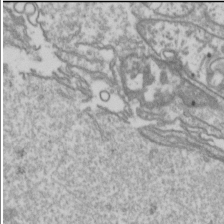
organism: Drosophila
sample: Cell division; meiosis; drosophila spermatocytes